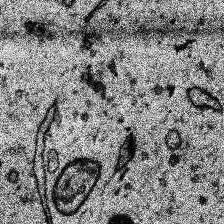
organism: Human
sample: Temporal Lobe